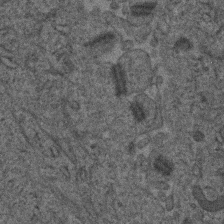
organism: Human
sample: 1205lu cells